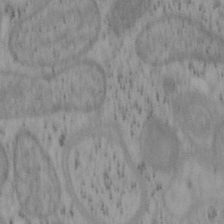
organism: Mouse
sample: OT-I killer T cells with ID8 ovarian cancer cells